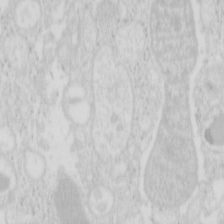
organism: Mouse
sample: Pancreas